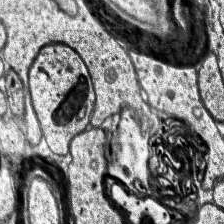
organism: Human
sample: Temporal Lobe